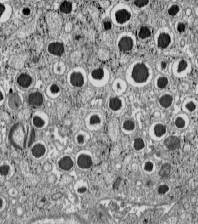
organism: C57BL Mouse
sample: Pancreatic islet